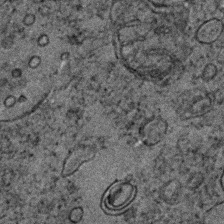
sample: Trachea